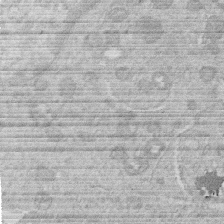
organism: Human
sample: Macrophage cells